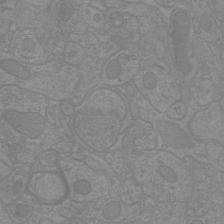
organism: Mouse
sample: Cortical neurons